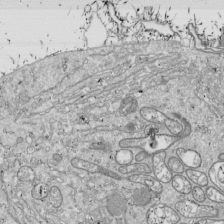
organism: Drosophila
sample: Cell division; meiosis; drosophila spermatocytes